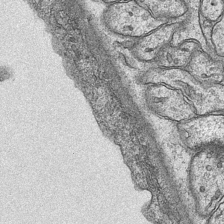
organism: Mouse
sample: CA1 Hippocampus